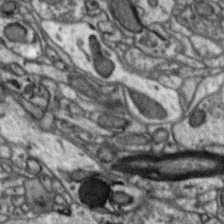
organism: Zebra finch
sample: Brain